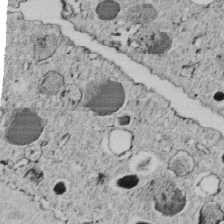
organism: C. elegans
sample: C. elegans embryo early stage